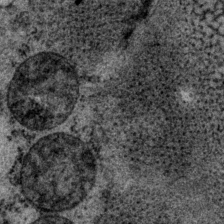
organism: P. pacificus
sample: Pharynx